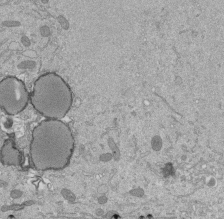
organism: Mouse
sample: ED-1 cell nuclei; centrioles